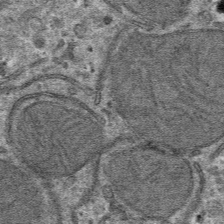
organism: Mouse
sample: Mouse hepatocytes